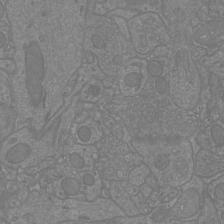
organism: Mouse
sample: Cortical neurons